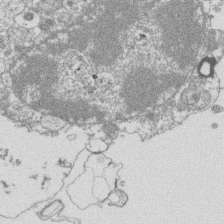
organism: Human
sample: HeLa cell HIV synapse